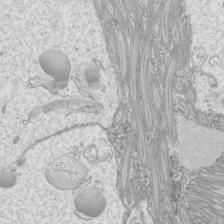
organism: Mouse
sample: Cilia; mouse epididymis